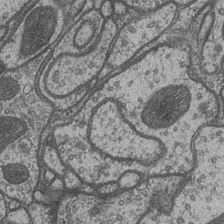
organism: Drosophila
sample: Optic medulla